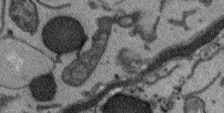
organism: Arabidopsis thaliana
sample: Root tip